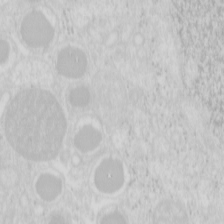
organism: Mouse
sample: Pancreas